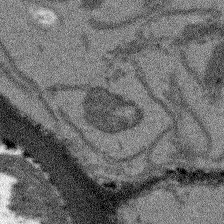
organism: Arabidopsis thaliana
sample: Root tip